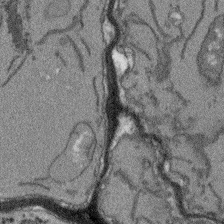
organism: Arabidopsis thaliana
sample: Root tip